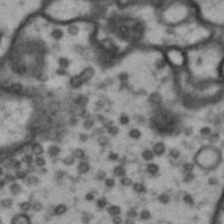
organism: Drosophila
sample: Brain